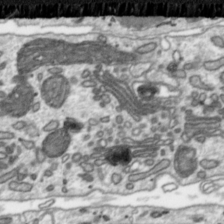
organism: Toxoplasma gondii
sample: Parasites in a vacuole inside a host cell